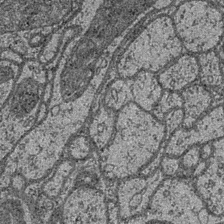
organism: Drosophila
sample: Optic medulla